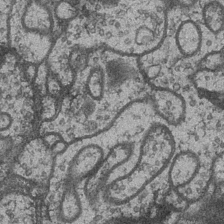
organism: Drosophila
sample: Optic medulla